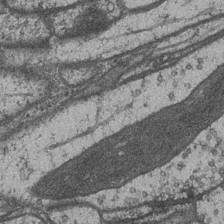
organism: Drosophila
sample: Optic medulla